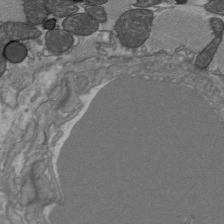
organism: C57BL Mouse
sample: Heart